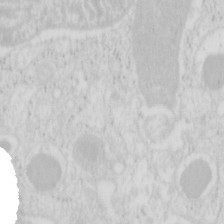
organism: Mouse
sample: Pancreas